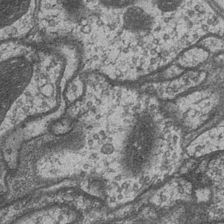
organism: Drosophila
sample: Optic medulla